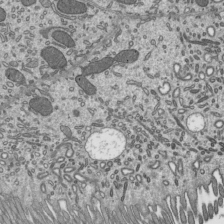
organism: Mouse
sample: Mouse epididymis efferent ductule cilia